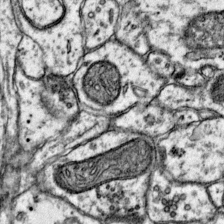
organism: Mouse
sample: Primary visual cortex